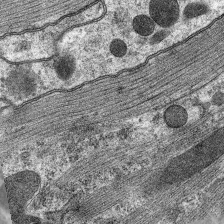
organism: C. elegans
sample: Pharynx